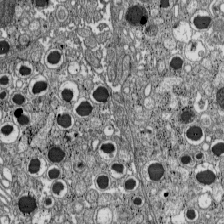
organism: C57BL Mouse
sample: Pancreatic islet